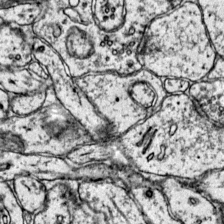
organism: Mouse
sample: Primary visual cortex